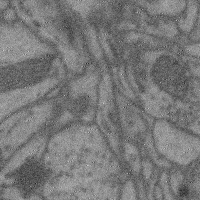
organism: Mouse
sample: Cerebral cortex